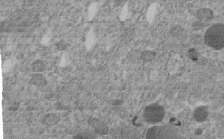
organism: C. elegans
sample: C. elegans embryo early stage